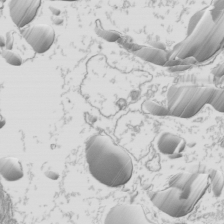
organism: Mouse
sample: Cilia; mouse epididymis